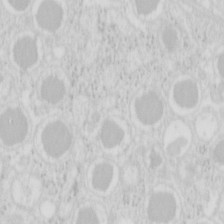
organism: Mouse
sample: Pancreas